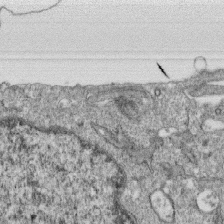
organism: African green monkey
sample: Vero E6 cells infected with SARS-CoV-2